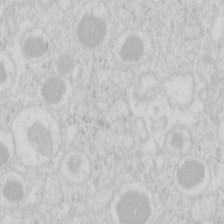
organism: Mouse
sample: Pancreas